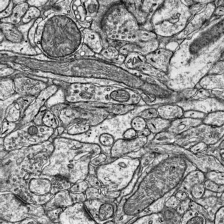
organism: Mouse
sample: Visual Cortex